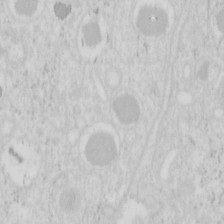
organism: Mouse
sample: Pancreas